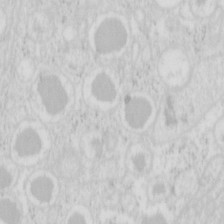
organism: Mouse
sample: Pancreas